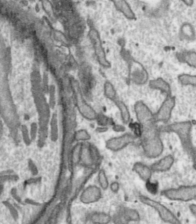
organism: Toxoplasma gondii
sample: Parasites in a vacuole inside a host cell